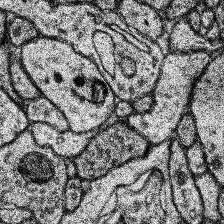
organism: Human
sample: Temporal Lobe